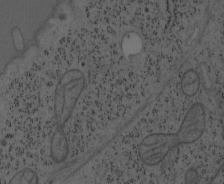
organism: Mouse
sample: OT-I killer T cells with ID8 ovarian cancer cells